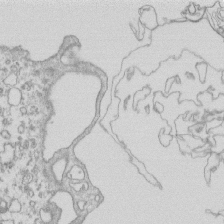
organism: Mouse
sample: Macrophages